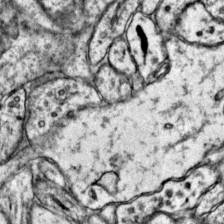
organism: Mouse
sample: Primary visual cortex